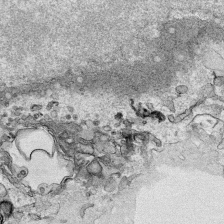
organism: Human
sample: Mitochondria in HCT116 cells